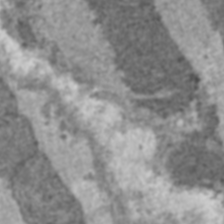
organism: C57BL Mouse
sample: Heart